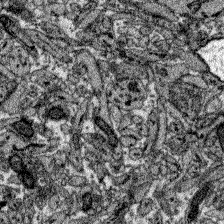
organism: Zebrafish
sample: Larval olfactory bulb